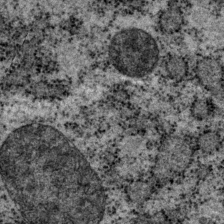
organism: P. pacificus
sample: Pharynx